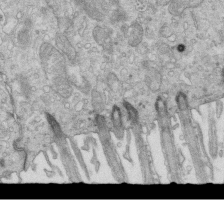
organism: Mouse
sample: Multiciliated cells